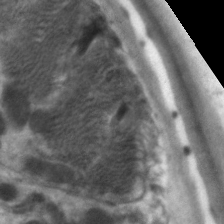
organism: C. elegans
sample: Pharynx